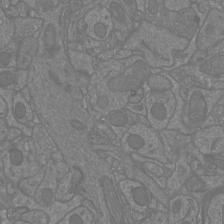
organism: Mouse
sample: Cortical neurons